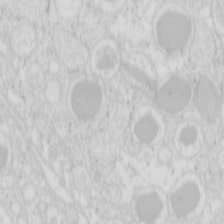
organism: Mouse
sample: Pancreas